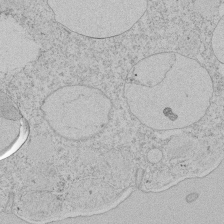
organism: Tetrahymena